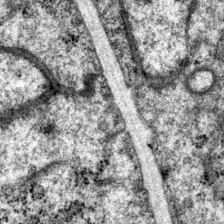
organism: P. pacificus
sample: Pharynx